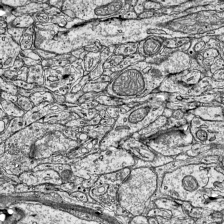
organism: Mouse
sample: Visual Cortex